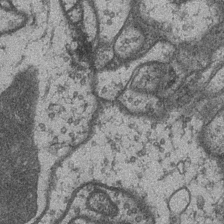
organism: Drosophila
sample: Optic medulla